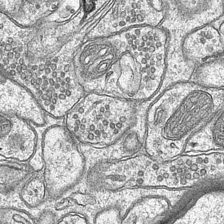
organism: Mouse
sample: CA1 Hippocampus